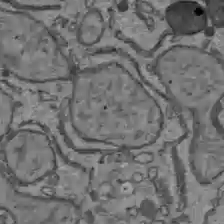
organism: C57BL Mouse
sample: Liver